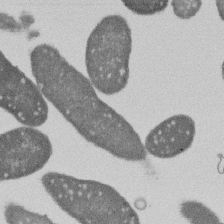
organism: E. coli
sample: Bacterial nucleoid